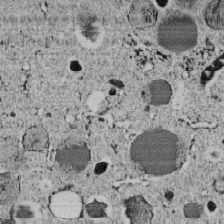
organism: C. elegans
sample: C. elegans embryo early stage